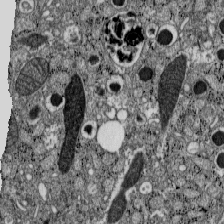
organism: C57BL Mouse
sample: Pancreatic islet